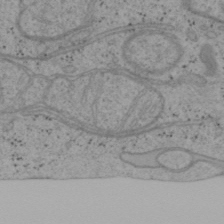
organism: Human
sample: HeLa cells